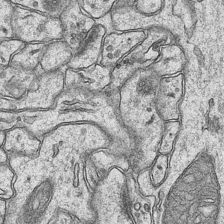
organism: Mouse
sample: CA1 Hippocampus